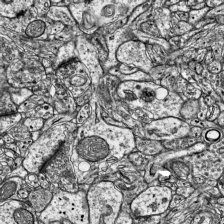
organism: Mouse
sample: Visual Cortex